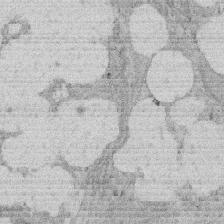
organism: Rat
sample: Salivary granule